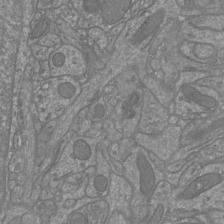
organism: Mouse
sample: Cortical neurons